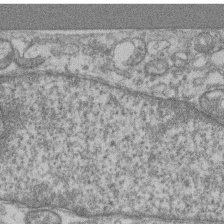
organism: Mouse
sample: T cell stromal cell synapse